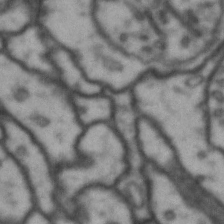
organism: Drosophila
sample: Brain